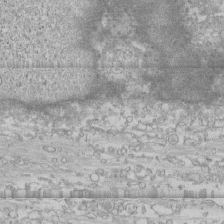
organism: Human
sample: CRL-1474